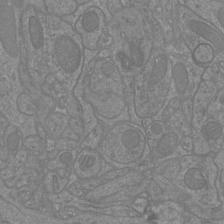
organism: Mouse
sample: Cortical neurons